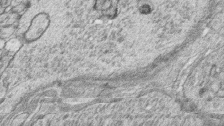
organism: Zebrafish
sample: synaptic ribbons in rod cells and cone cells